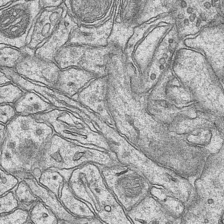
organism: Mouse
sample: CA1 Hippocampus